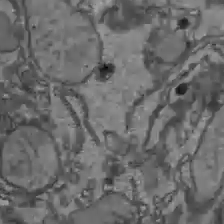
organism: C57BL Mouse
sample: Liver